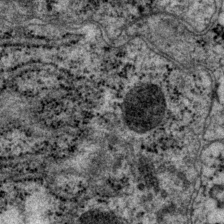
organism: P. pacificus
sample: Pharynx